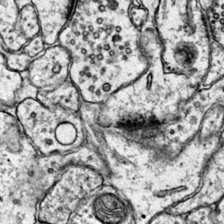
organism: Mouse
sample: Primary visual cortex